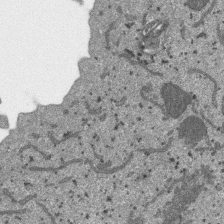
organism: Human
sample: Lung epithelial cells infected with SARS-CoV-2